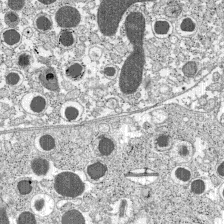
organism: C57BL Mouse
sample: Pancreatic islet